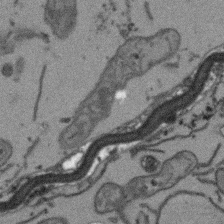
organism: Arabidopsis thaliana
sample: Root tip